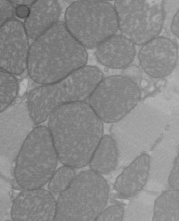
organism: C57BL Mouse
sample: Heart